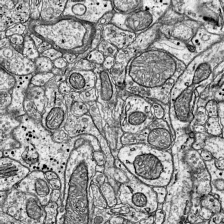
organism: Mouse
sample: Visual Cortex